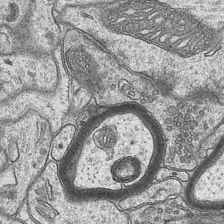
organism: Mouse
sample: CA1 Hippocampus